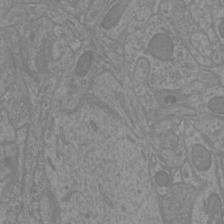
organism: Mouse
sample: Cortical neurons